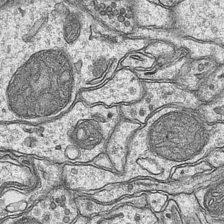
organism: Mouse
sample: CA1 Hippocampus